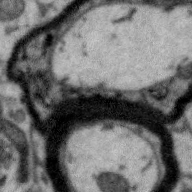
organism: Zebra finch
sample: Brain